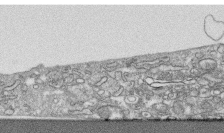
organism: Human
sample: CRL-1474